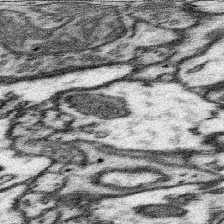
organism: Mouse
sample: Somatosensory cortex neuropil